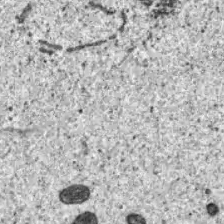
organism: Human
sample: HeLa cells